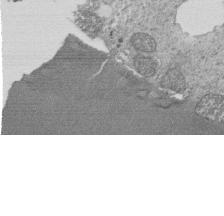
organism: Tetrahymena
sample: Cilia in tetrahymena